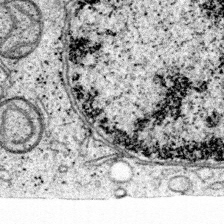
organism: Human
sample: HeLa cells